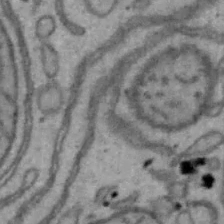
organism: Mouse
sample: Liver